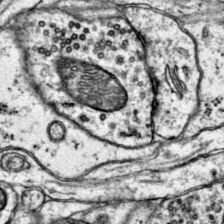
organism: Mouse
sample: Primary visual cortex